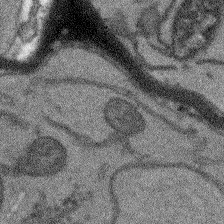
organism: Arabidopsis thaliana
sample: Root tip